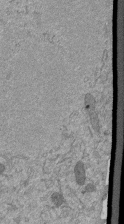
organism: Mouse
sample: ED-1 cell nuclei; centrioles